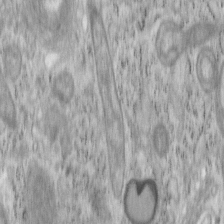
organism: Human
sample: HeLa cells